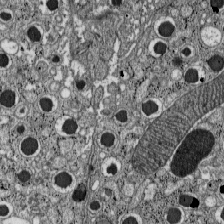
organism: C57BL Mouse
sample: Pancreatic islet